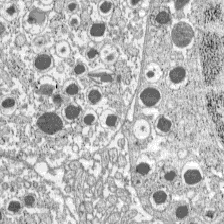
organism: C57BL Mouse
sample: Pancreatic islet